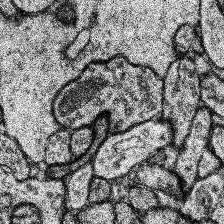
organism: Human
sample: Temporal Lobe